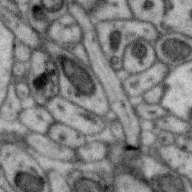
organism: Zebra finch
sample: Brain